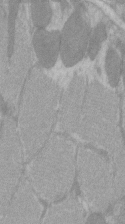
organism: C57BL Mouse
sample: Tibialis anterior muscle cell